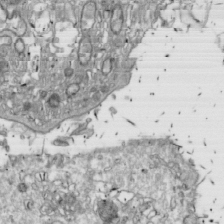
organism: Drosophila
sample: Cell division; meiosis; drosophila spermatocytes